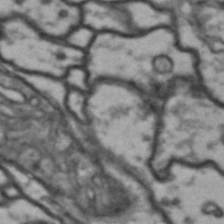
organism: Drosophila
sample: Brain